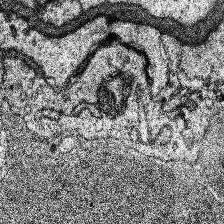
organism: Human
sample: Temporal Lobe